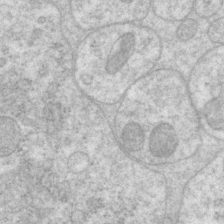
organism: P. pacificus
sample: Pharynx